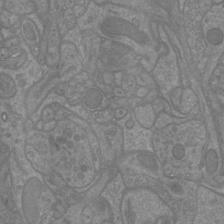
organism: Mouse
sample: Cortical neurons